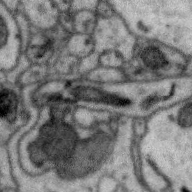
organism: Zebra finch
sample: Brain